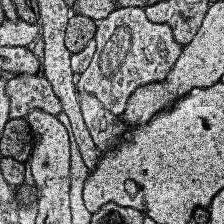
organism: Human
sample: Temporal Lobe